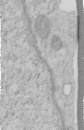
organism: Human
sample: Centriole in RPE cells